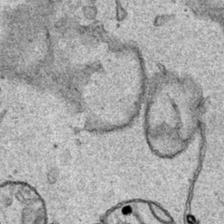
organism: Human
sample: Mitochondria in HCT116 cells